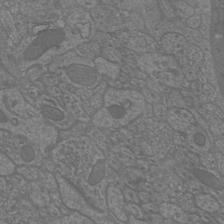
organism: Mouse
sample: Cortical neurons